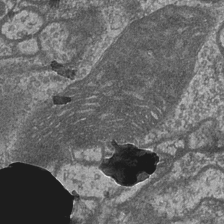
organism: Drosophila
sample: Optic medulla